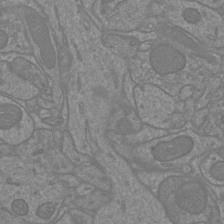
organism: Mouse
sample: Cortical neurons